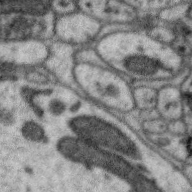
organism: Zebra finch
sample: Brain